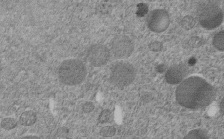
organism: C. elegans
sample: C. elegans embryo early stage